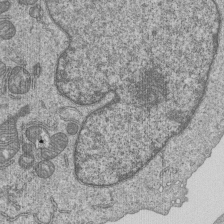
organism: Human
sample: MDA-MB-231 cells